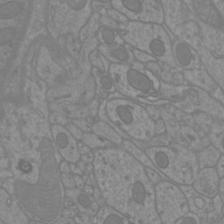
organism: Mouse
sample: Cortical neurons